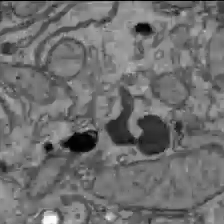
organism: C57BL Mouse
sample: Liver